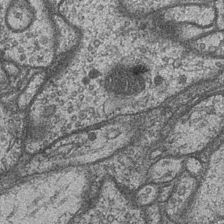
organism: Drosophila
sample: Optic medulla